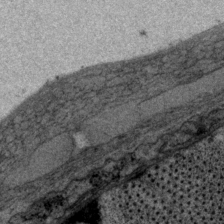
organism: P. pacificus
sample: Pharynx